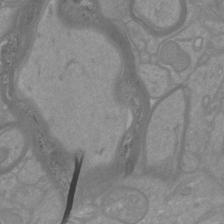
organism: Mouse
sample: Cortical neurons